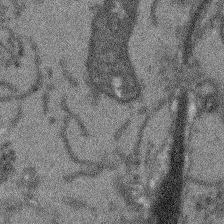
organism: Arabidopsis thaliana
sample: Root tip